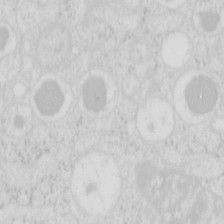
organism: Mouse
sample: Pancreas